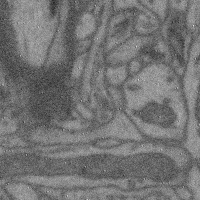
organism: Mouse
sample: Cerebral cortex